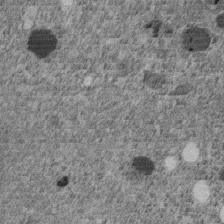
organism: C. elegans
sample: C. elegans embryo early stage